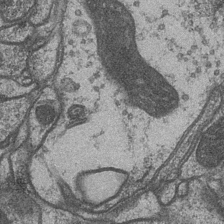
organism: Drosophila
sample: Optic medulla